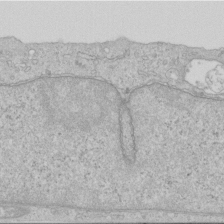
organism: Human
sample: Centriole in RPE cells